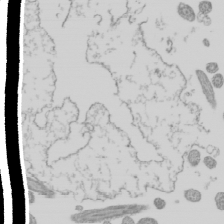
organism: Mouse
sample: Cilia; mouse epididymis